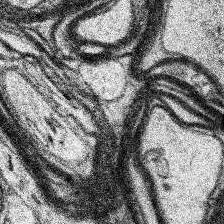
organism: Human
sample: Temporal Lobe